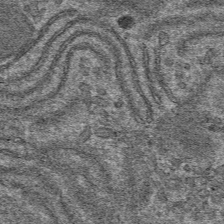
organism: Mouse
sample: Mouse hepatocytes